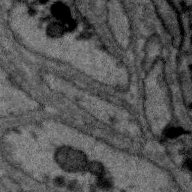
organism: Zebra finch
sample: Brain